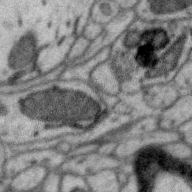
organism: Zebra finch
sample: Brain